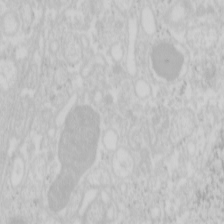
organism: Mouse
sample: Pancreas